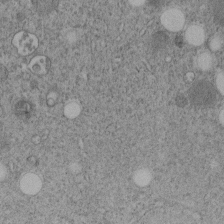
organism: C. elegans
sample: C. elegans embryo early stage